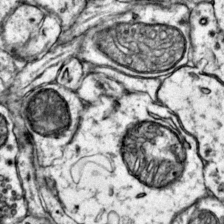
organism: Mouse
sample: Primary visual cortex